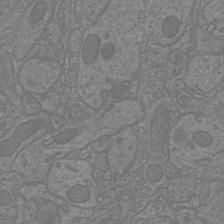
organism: Mouse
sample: Cortical neurons